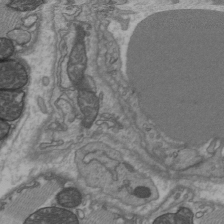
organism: C57BL Mouse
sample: Heart